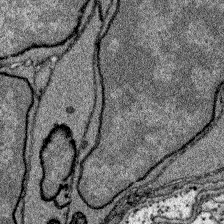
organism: Zebrafish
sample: Larval olfactory bulb